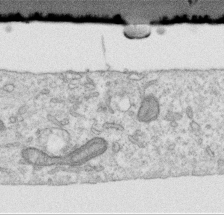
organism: Human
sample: Centriole in RPE cells